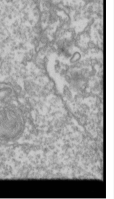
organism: Drosophila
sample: Cell division; meiosis; drosophila spermatocytes